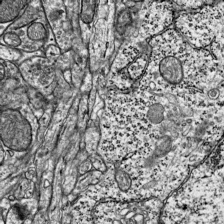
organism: Mouse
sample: Visual Cortex